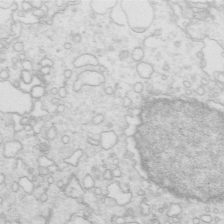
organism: Mouse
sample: Multiciliated cells